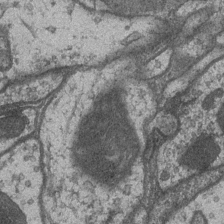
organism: Drosophila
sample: Optic medulla